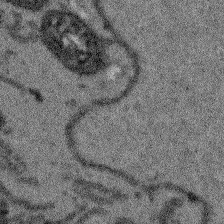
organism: Arabidopsis thaliana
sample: Root tip